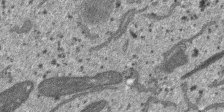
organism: Human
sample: Lung epithelial cells infected with SARS-CoV-2